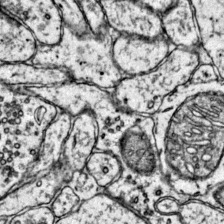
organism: Mouse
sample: Primary visual cortex